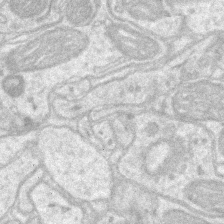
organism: Mouse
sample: CA1 Hippocampus